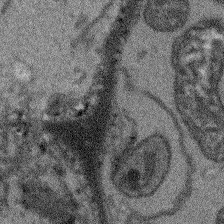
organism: Arabidopsis thaliana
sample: Root tip